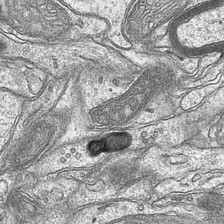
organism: Mouse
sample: CA1 Hippocampus